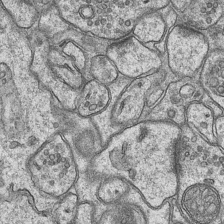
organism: Mouse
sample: CA1 Hippocampus